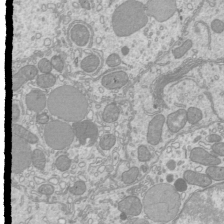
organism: Mouse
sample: Cilia; mouse epididymis